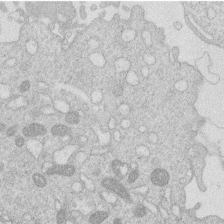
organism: Human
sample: Macrophage cells